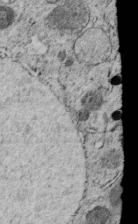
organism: C. elegans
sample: C. elegans embryo early stage